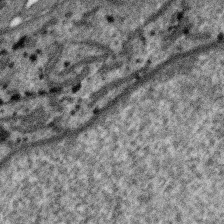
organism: Human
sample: Lung epithelial cells infected with SARS-CoV-2